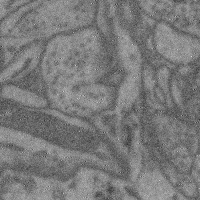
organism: Mouse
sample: Cerebral cortex